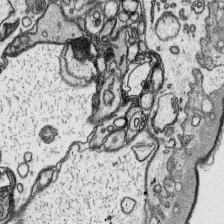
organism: Platynereis dumerilii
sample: Parapodia